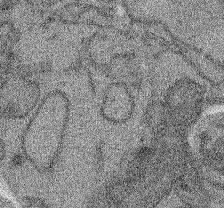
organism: Human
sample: HeLa cells